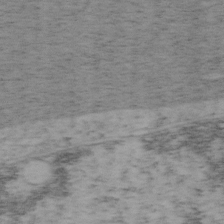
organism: Mouse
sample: OT-I killer T cells with ID8 ovarian cancer cells